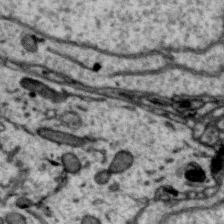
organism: Zebra finch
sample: Brain